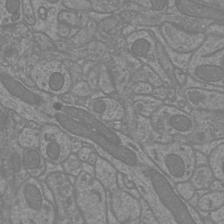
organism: Mouse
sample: Cortical neurons